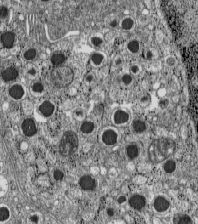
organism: C57BL Mouse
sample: Pancreatic islet